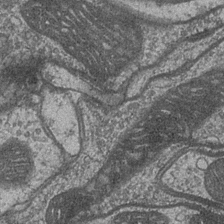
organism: Drosophila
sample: Optic medulla